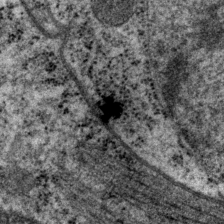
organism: P. pacificus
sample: Pharynx